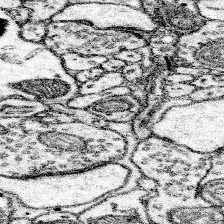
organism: Mouse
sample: Somatosensory cortex neuropil